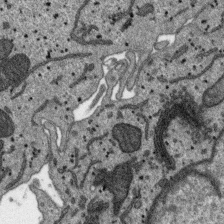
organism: Human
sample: Lung epithelial cells, uninfected (mock) control